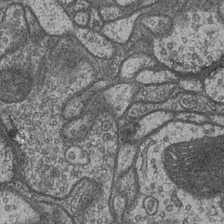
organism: Drosophila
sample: Optic medulla